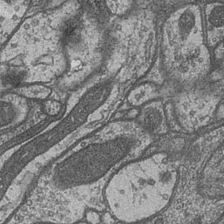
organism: Drosophila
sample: Optic medulla